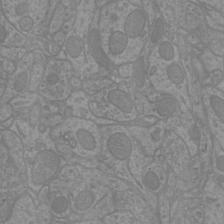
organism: Mouse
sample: Cortical neurons